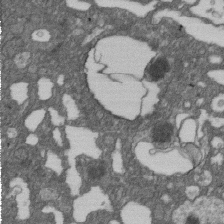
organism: Drosophila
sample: Nephrocyte